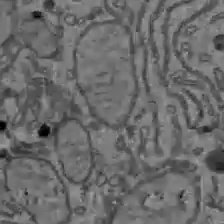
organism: C57BL Mouse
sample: Liver